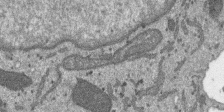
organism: Human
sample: Lung epithelial cells infected with SARS-CoV-2